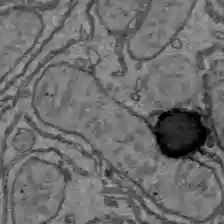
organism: C57BL Mouse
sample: Liver